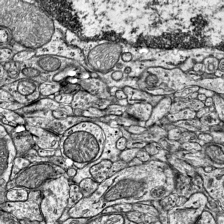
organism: Mouse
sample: Visual Cortex